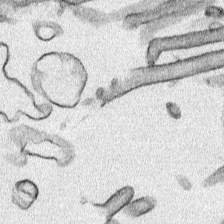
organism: Human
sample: Mitochondria in HCT116 cells